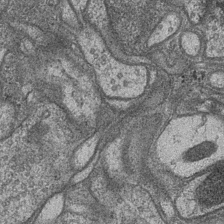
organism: Drosophila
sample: Optic medulla